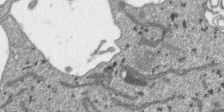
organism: Human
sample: Lung epithelial cells infected with SARS-CoV-2